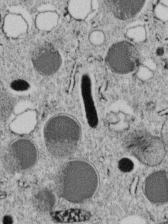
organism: C. elegans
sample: C. elegans embryo early stage